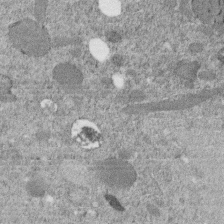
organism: C. elegans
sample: C. elegans embryo early stage